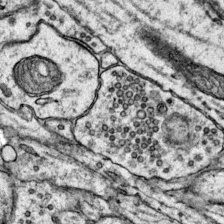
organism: Mouse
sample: Primary visual cortex